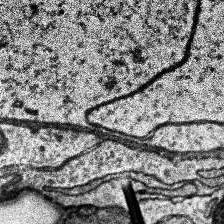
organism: Human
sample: Temporal Lobe